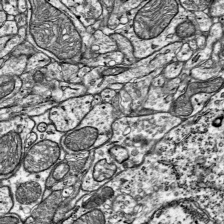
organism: Mouse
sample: Visual Cortex